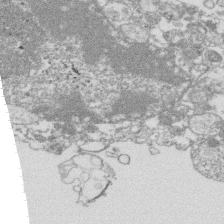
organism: Human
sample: HeLa cell HIV synapse